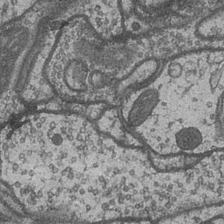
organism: Drosophila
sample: Optic medulla